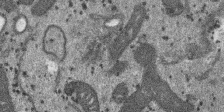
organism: Human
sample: Lung epithelial cells infected with SARS-CoV-2